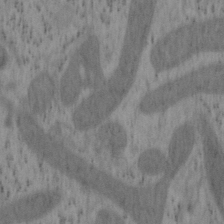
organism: Mouse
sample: OT-I killer T cells with ID8 ovarian cancer cells